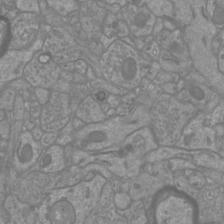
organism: Mouse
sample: Cortical neurons